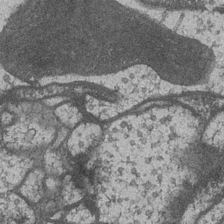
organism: Drosophila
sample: Optic medulla